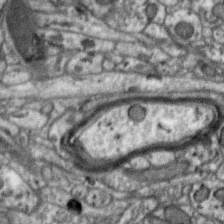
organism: Zebra finch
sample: Brain